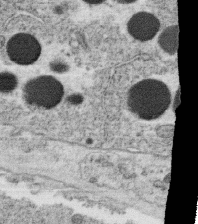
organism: C. elegans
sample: C. elegans oocyte; sperm cells